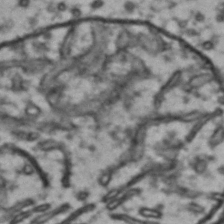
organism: Drosophila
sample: Brain